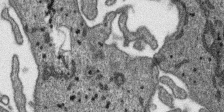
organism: Human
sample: Lung epithelial cells infected with SARS-CoV-2